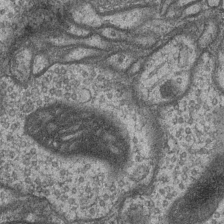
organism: Drosophila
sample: Optic medulla